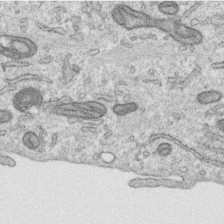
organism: Human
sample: Centriole in RPE cells